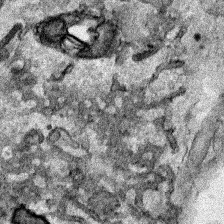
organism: Human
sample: Mitochondria in HCT116 cells